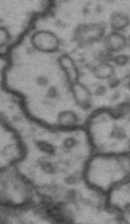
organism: Drosophila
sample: Brain